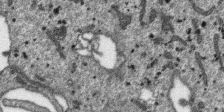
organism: Human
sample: Lung epithelial cells infected with SARS-CoV-2